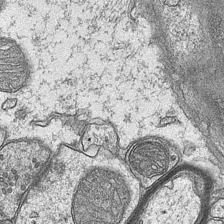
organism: Mouse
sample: CA1 Hippocampus